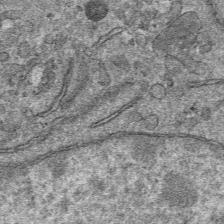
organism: Mouse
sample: Mouse hepatocytes